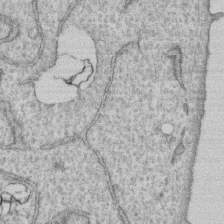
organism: Human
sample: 1205lu cells